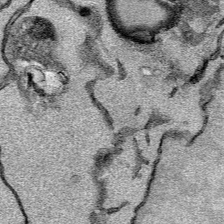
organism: Mouse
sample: Cancer cell death in ED-1 cells